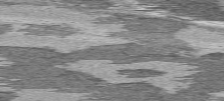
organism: C57BL Mouse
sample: Heart